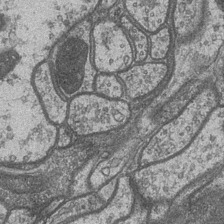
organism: Drosophila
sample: Optic medulla